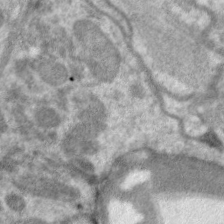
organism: C. elegans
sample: Pharynx